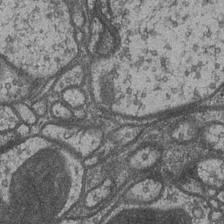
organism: Drosophila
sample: Optic medulla